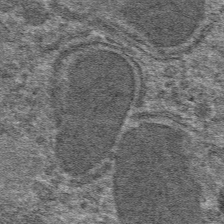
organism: Mouse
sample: Mouse hepatocytes